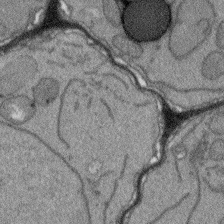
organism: Arabidopsis thaliana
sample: Root tip